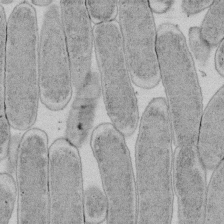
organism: E. coli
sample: Bacterial nucleoid